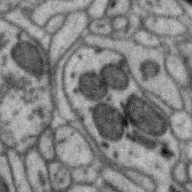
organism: Zebra finch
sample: Brain